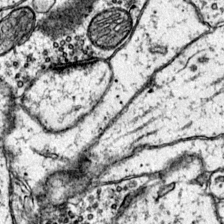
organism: Mouse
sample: Primary visual cortex